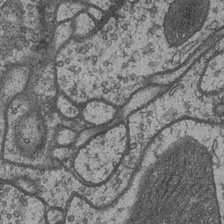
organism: Drosophila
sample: Optic medulla